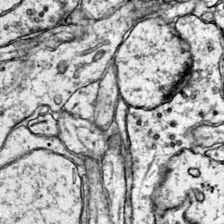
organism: Mouse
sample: Primary visual cortex